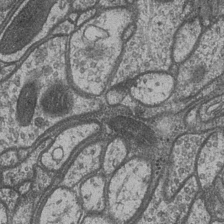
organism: Drosophila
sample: Optic medulla